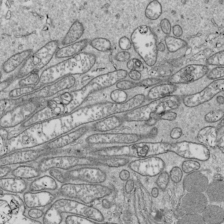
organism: Drosophila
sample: Cell division; meiosis; drosophila spermatocytes